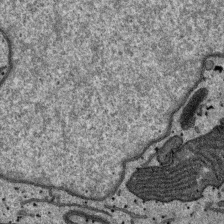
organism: Human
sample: Lung epithelial cells, uninfected (mock) control